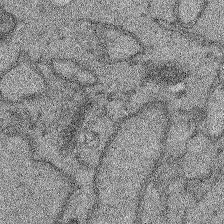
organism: Human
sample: HeLa cells